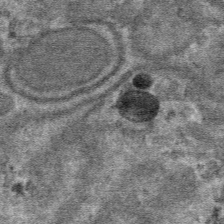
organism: Mouse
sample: Mouse hepatocytes